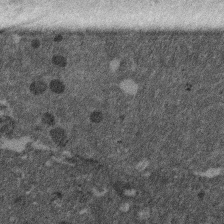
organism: Mouse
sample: Dividing mouse embryo 1 cell stage